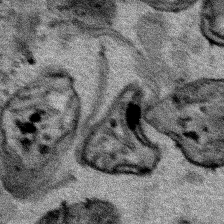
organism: Human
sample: Mitochondria in HCT116 cells